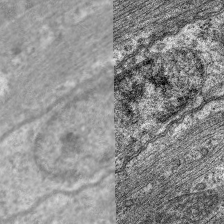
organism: C. elegans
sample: Pharynx